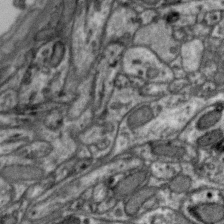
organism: Zebra finch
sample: Brain